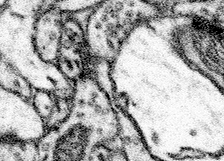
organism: Mouse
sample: Somatosensory cortex neuropil